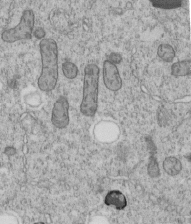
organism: C. elegans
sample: C. elegans embryo early stage